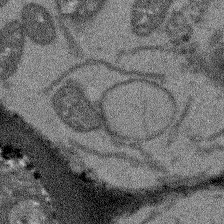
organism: Arabidopsis thaliana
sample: Root tip